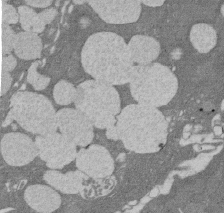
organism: Rat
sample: Salivary granule